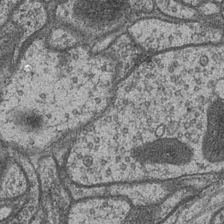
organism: Drosophila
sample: Optic medulla